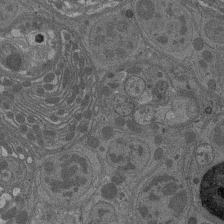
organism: Drosophila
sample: Antenna